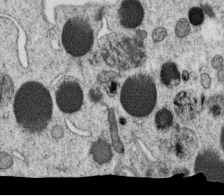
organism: C. elegans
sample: C. elegans oocyte; sperm cells